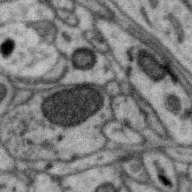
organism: Zebra finch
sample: Brain